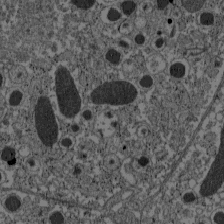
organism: C57BL Mouse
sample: Pancreatic islet